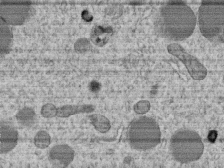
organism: C. elegans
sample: C. elegans embryo early stage